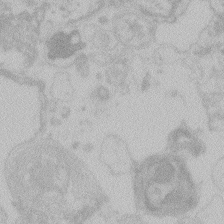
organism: Zebrafish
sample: Macrophage infected with Toxoplasma gondii